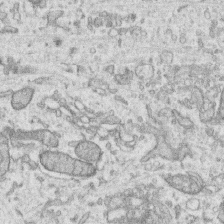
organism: Human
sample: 1205lu cells